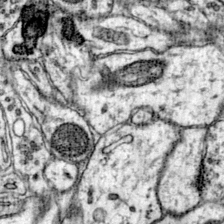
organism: Mouse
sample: Primary visual cortex